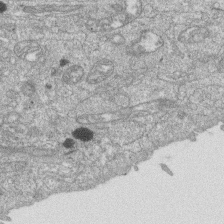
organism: Human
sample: HeLa cell HIV synapse